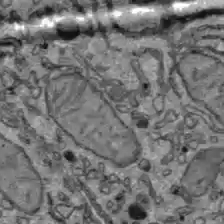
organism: C57BL Mouse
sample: Liver